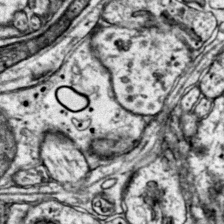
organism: Mouse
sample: Primary visual cortex